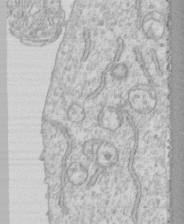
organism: Human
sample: CRL-1474